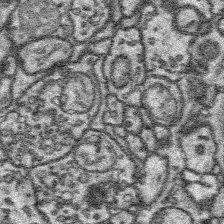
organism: Platynereis dumerilii